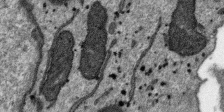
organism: Human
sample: Lung epithelial cells, uninfected (mock) control